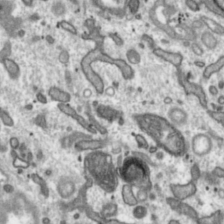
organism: Toxoplasma gondii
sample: Parasites in a vacuole inside a host cell